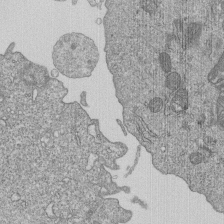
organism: Human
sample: MDA-MB-231 cells